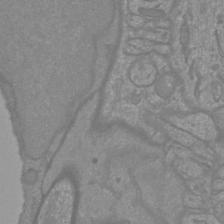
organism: Mouse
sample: Cortical neurons